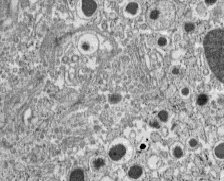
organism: C57BL Mouse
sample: Pancreatic islet